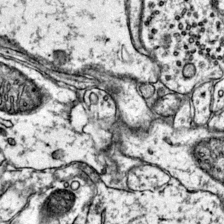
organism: Mouse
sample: Primary visual cortex